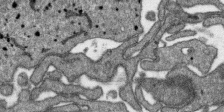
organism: Human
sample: Lung epithelial cells, uninfected (mock) control